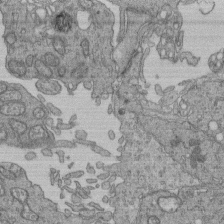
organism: Human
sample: Retinal organoid Rod and Cone cells